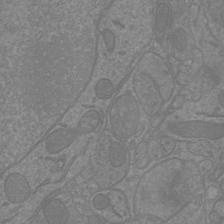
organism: Mouse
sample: Cortical neurons